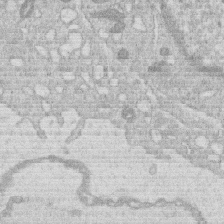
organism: Human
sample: Macrophage cells